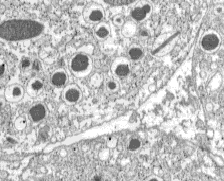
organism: C57BL Mouse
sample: Pancreatic islet